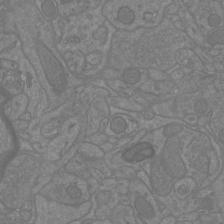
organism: Mouse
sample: Cortical neurons